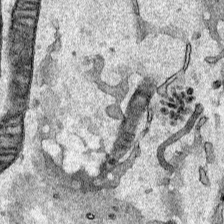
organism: Human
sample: Mitochondria in HCT116 cells